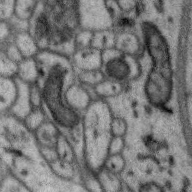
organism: Zebra finch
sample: Brain